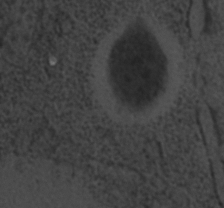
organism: C. elegans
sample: C. elegans embryo